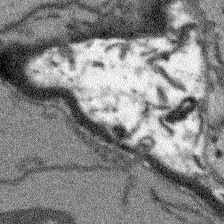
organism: Arabidopsis thaliana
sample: Root tip